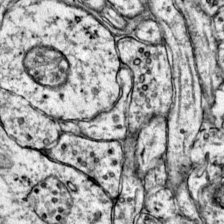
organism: Mouse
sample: Primary visual cortex